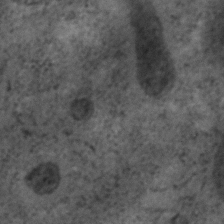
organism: C. elegans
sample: C. elegans embryo